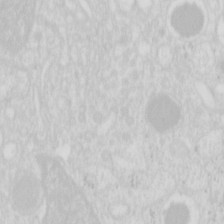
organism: Mouse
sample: Pancreas